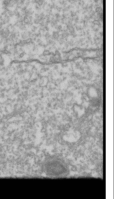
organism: Drosophila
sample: Cell division; meiosis; drosophila spermatocytes